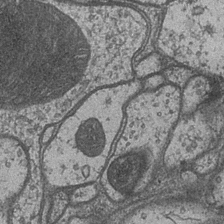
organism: Drosophila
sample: Optic medulla